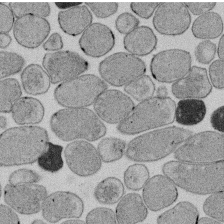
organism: E. coli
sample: Bacterial nucleoid